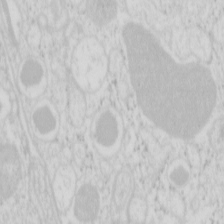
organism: Mouse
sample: Pancreas